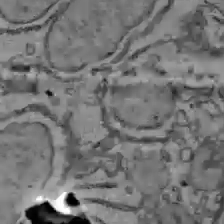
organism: C57BL Mouse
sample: Liver